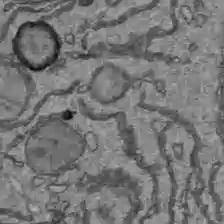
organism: C57BL Mouse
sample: Liver